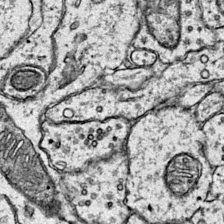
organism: Mouse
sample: Primary visual cortex